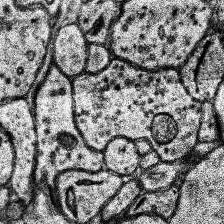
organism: Human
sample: Temporal Lobe